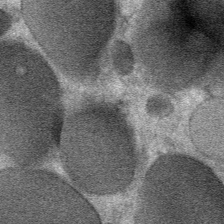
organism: Mouse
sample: Mouse Salivary gland